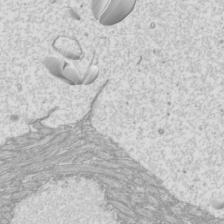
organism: Mouse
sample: Cilia; mouse epididymis